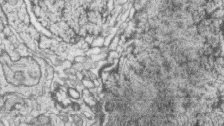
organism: Zebrafish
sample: synaptic ribbons in rod cells and cone cells